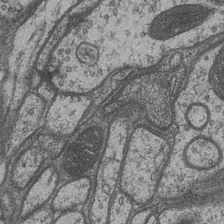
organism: Drosophila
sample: Optic medulla